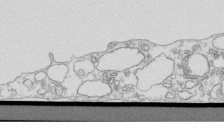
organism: Mouse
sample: Macrophages